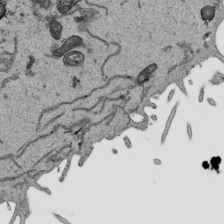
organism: Human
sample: Mitochondria in HCT116 cells